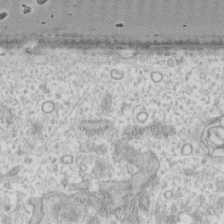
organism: Human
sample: Fibroblast cells